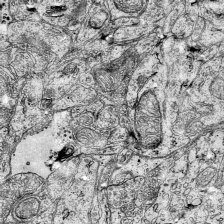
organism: Mouse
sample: Visual Cortex